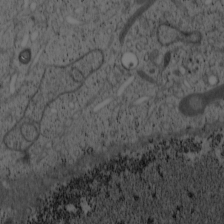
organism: African green monkey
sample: COS-7 cells